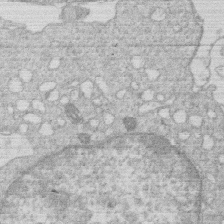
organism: Human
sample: Macrophage cells